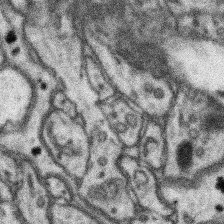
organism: Mouse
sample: Somatosensory cortex neuropil